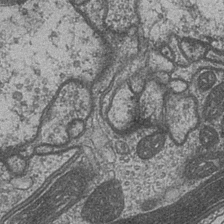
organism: Drosophila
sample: Optic medulla